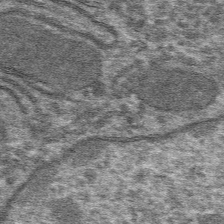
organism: Mouse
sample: Mouse hepatocytes